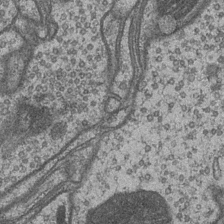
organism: Drosophila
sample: Optic medulla